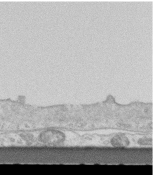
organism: Mouse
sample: Centriole in ependymal cells